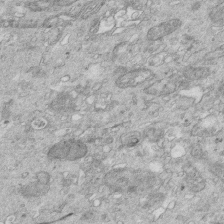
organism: Mouse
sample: Multiciliated cells